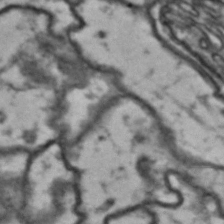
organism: Drosophila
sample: Brain